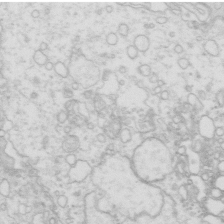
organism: Mouse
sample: Multiciliated cells